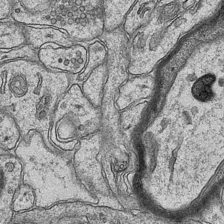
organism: Mouse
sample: CA1 Hippocampus